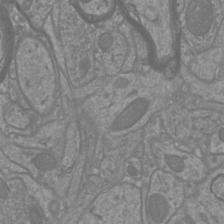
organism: Mouse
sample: Cortical neurons